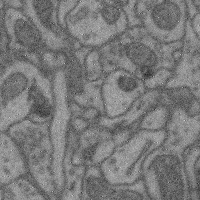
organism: Mouse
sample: Cerebral cortex